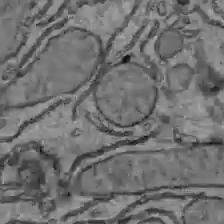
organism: C57BL Mouse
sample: Liver